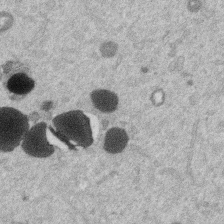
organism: Mouse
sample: Dividing mouse embryo 1 cell stage